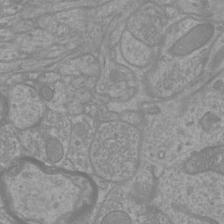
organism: Mouse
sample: Cortical neurons